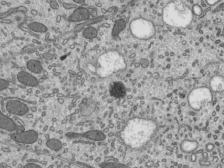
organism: Mouse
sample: Mouse epididymis efferent ductule cilia